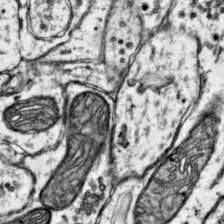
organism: Mouse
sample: Primary visual cortex